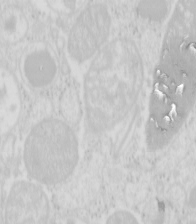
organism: Mouse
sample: Pancreas